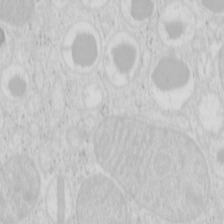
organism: Mouse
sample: Pancreas